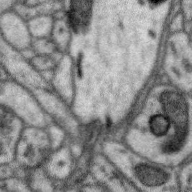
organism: Zebra finch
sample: Brain